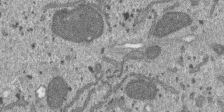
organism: Human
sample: Lung epithelial cells infected with SARS-CoV-2